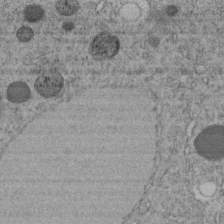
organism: C. elegans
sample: C. elegans embryo early stage